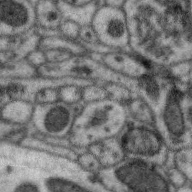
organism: Zebra finch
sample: Brain